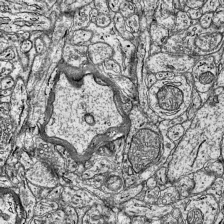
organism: Mouse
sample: Visual Cortex